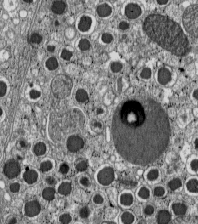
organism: C57BL Mouse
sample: Pancreatic islet